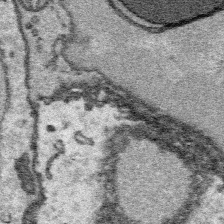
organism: Platynereis dumerilii